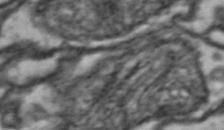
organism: Drosophila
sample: Brain